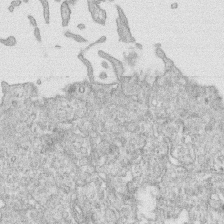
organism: Human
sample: HeLa cell HIV synapse